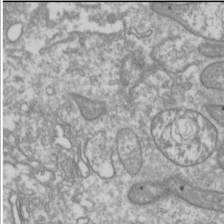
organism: Drosophila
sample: Cell division; meiosis; drosophila spermatocytes